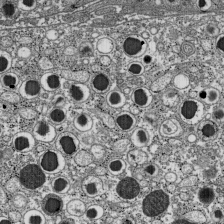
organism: C57BL Mouse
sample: Pancreatic islet